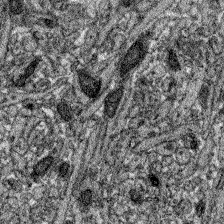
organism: Zebrafish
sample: Larval olfactory bulb